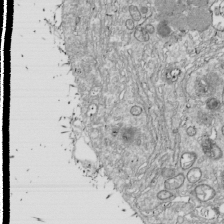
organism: Drosophila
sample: Cell division; meiosis; drosophila spermatocytes